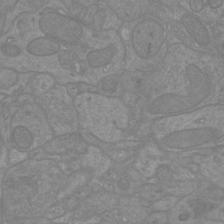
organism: Mouse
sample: Cortical neurons